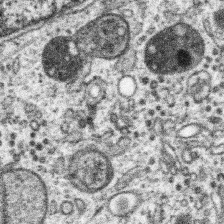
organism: Human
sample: HeLa cells